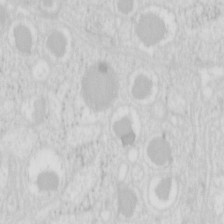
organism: Mouse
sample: Pancreas